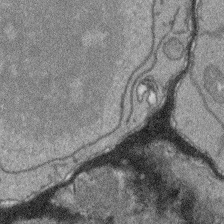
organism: Arabidopsis thaliana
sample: Root tip